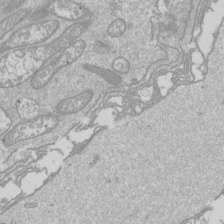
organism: Drosophila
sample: Cell division; meiosis; drosophila spermatocytes